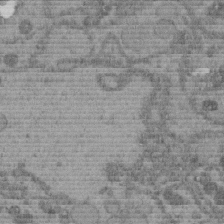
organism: C. elegans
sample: C. elegans embryo early stage